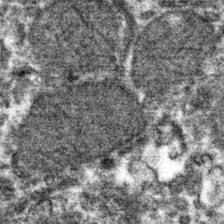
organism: Mouse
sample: Mouse hepatocytes